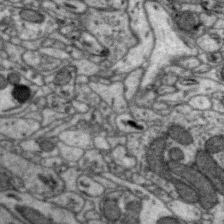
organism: Zebra finch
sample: Brain